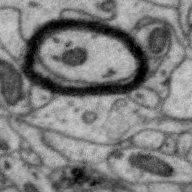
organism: Zebra finch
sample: Brain